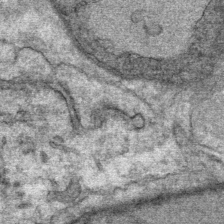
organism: Mouse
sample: Mouse Salivary gland